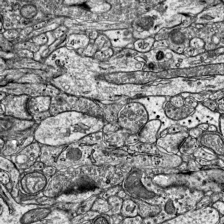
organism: Mouse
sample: Visual Cortex